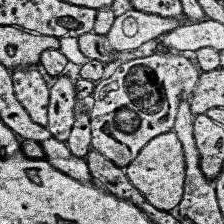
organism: Human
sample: Temporal Lobe